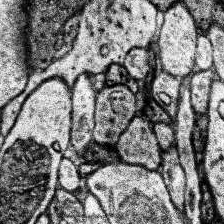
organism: Human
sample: Temporal Lobe